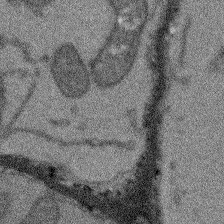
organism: Arabidopsis thaliana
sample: Root tip